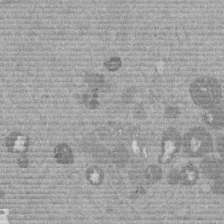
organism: Mouse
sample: Dividing mouse embryo 1 cell stage